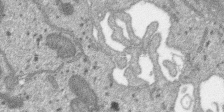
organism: Human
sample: Lung epithelial cells infected with SARS-CoV-2